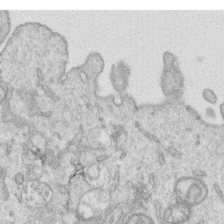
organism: Human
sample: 1205lu cells